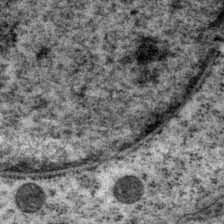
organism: P. pacificus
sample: Pharynx